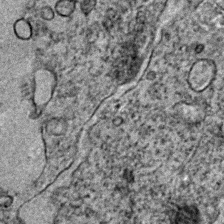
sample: Trachea